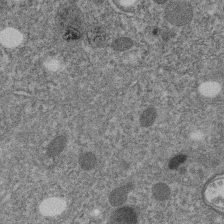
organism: C. elegans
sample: C. elegans embryo early stage